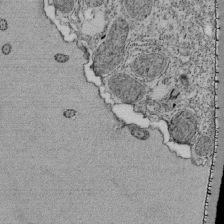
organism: Tetrahymena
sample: Cilia in tetrahymena